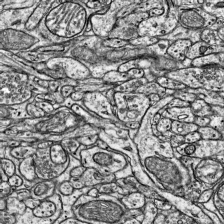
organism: Mouse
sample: Visual Cortex